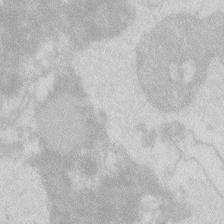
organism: Zebrafish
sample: Macrophage